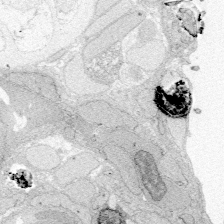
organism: Zebrafish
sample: Whole-Brain